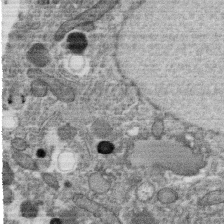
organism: C. elegans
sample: C. elegans oocyte; sperm cells